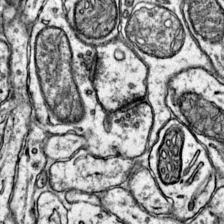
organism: Mouse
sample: Primary visual cortex